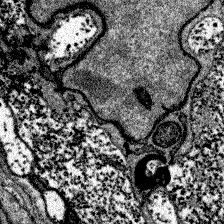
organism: Zebrafish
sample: Larval olfactory bulb